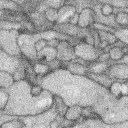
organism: Rabbit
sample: Retina